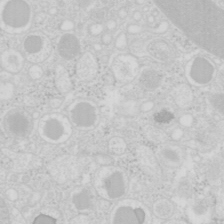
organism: Mouse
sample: Pancreas